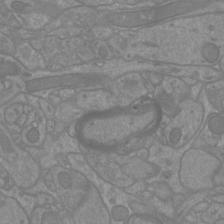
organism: Mouse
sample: Cortical neurons